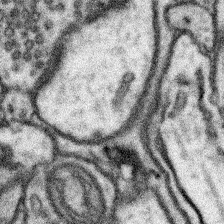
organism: Mouse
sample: Somatosensory cortex neuropil